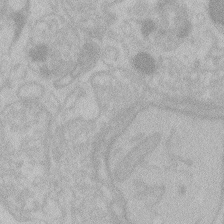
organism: Zebrafish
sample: Macrophage infected with Toxoplasma gondii